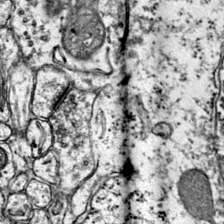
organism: Mouse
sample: Primary visual cortex